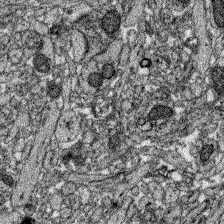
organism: Zebrafish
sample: Larval olfactory bulb